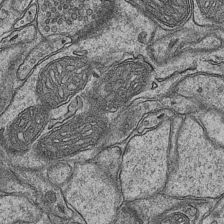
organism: Mouse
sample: CA1 Hippocampus